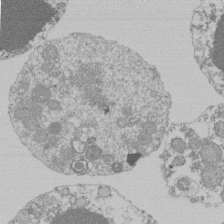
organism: Mouse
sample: Activated Pmel transgenic CD8+ T Cells